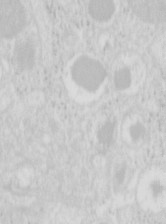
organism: Mouse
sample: Pancreas